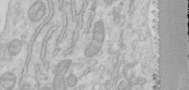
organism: Human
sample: Centriole in RPE cells